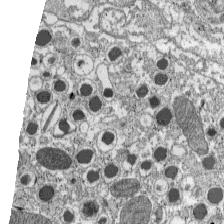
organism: C57BL Mouse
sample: Pancreatic islet